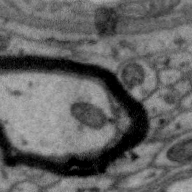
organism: Zebra finch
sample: Brain